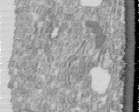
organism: Human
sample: Centriole in fibroblast cells